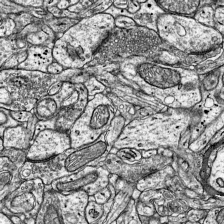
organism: Mouse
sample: Visual Cortex